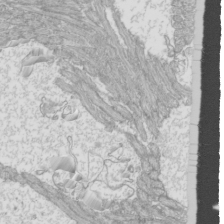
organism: Mouse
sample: Cilia; mouse epididymis